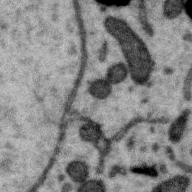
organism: Zebra finch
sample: Brain